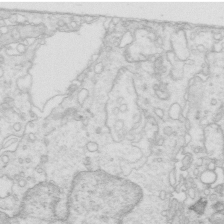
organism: Mouse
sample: Multiciliated cells